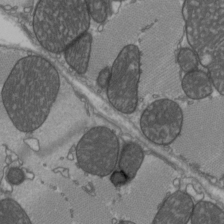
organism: C57BL Mouse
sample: Heart